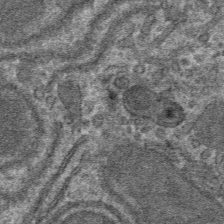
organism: Mouse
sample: Mouse hepatocytes